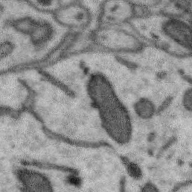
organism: Zebra finch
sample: Brain